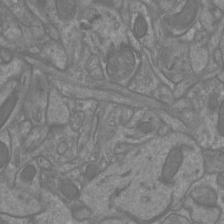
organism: Mouse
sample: Cortical neurons